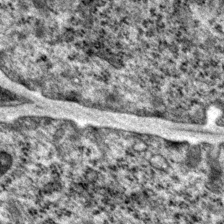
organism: P. pacificus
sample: Pharynx